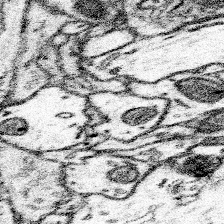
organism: Mouse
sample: Somatosensory cortex neuropil